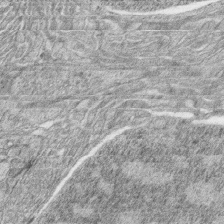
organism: Zebrafish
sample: synaptic ribbons in rod cells and cone cells